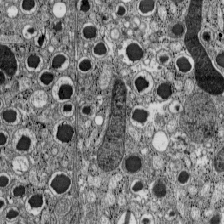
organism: C57BL Mouse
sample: Pancreatic islet